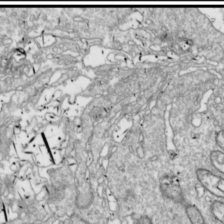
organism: Drosophila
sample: Cell division; meiosis; drosophila spermatocytes